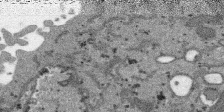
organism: Human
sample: Lung epithelial cells infected with SARS-CoV-2